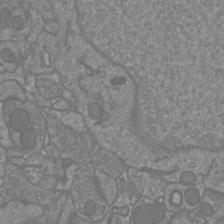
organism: Mouse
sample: Cortical neurons